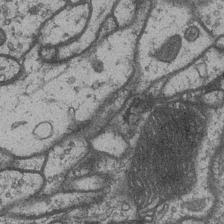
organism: Drosophila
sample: Optic medulla